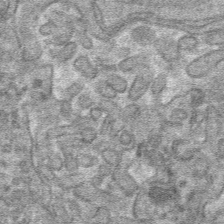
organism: Mouse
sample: Mouse hepatocytes